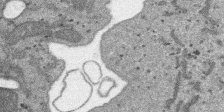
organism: Human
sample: Lung epithelial cells infected with SARS-CoV-2